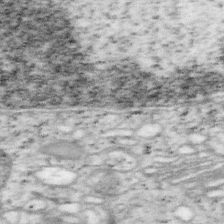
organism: Mouse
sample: OT-I killer T cells with ID8 ovarian cancer cells